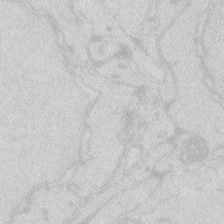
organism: Zebrafish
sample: Macrophage